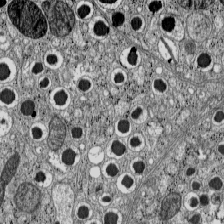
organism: C57BL Mouse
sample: Pancreatic islet